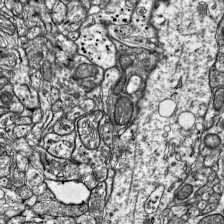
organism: Mouse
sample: Visual Cortex